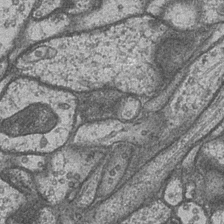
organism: Drosophila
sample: Optic medulla